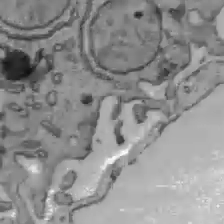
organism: C57BL Mouse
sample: Liver